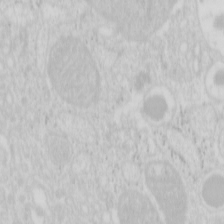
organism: Mouse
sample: Pancreas